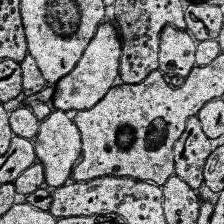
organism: Human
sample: Temporal Lobe